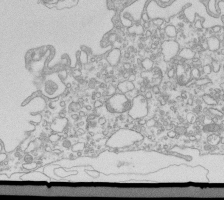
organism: Mouse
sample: Macrophages